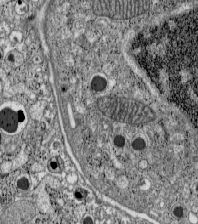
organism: C57BL Mouse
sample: Pancreatic islet